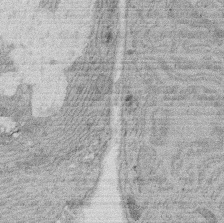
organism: Rat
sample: Salivary granule